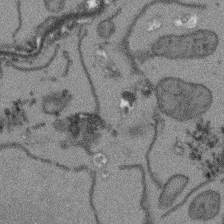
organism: Arabidopsis thaliana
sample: Root tip